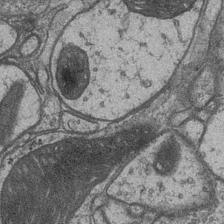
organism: Drosophila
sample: Optic medulla